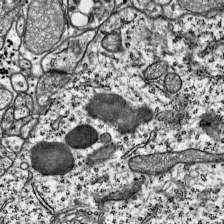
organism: Mouse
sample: Visual Cortex